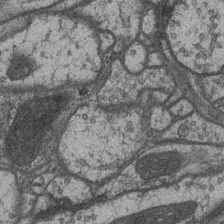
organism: Drosophila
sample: Optic medulla